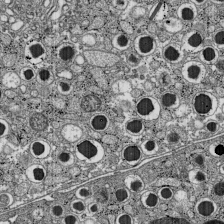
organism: C57BL Mouse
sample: Pancreatic islet